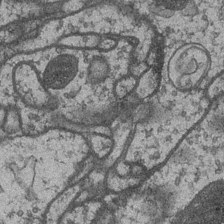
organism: Drosophila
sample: Optic medulla